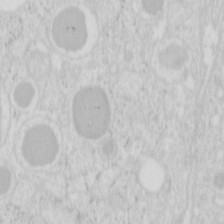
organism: Mouse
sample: Pancreas